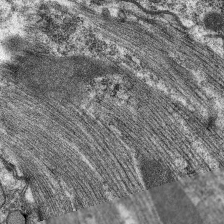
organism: C. elegans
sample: Pharynx